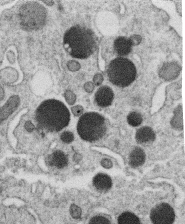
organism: C. elegans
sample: C. elegans oocyte; sperm cells